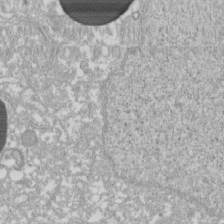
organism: Xenopus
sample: Cilia; centrioles in frog embryo cells